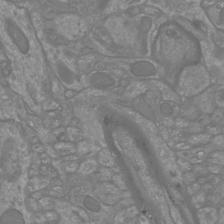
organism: Mouse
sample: Cortical neurons